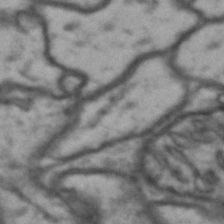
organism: Drosophila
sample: Brain